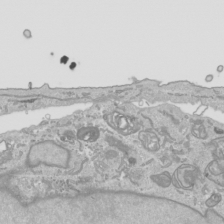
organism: Human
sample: Mitochondria in HCT116 cells